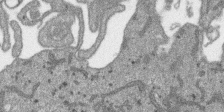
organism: Human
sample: Lung epithelial cells infected with SARS-CoV-2